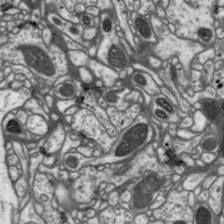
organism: Drosophila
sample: Protocerebral bridge